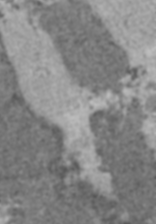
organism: C57BL Mouse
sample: Heart